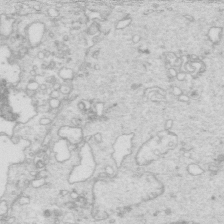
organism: Mouse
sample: Multiciliated cells